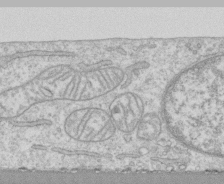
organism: Human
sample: CRL-1474